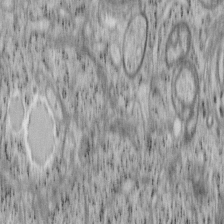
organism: Human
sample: HeLa cells